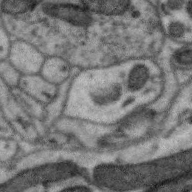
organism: Zebra finch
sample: Brain